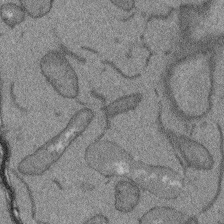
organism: Arabidopsis thaliana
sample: Root tip